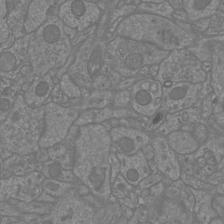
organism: Mouse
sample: Cortical neurons